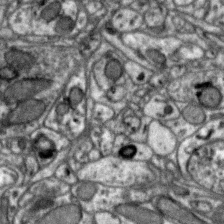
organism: Zebra finch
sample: Brain